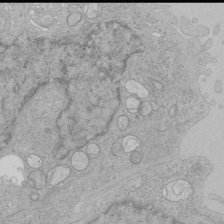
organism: Human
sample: Mitochondria in HCT116 cells